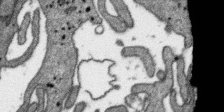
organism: Human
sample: Lung epithelial cells, uninfected (mock) control